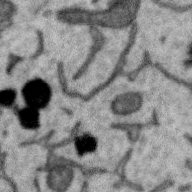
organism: Zebra finch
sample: Brain